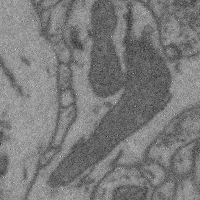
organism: Mouse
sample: Cerebral cortex